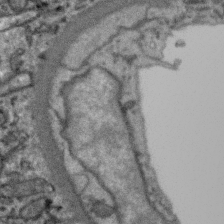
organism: Zebra finch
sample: Brain